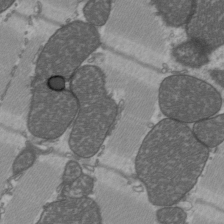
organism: C57BL Mouse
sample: Heart